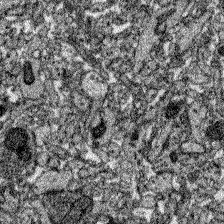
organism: Zebrafish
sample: Larval olfactory bulb